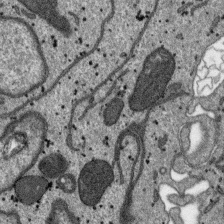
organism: Human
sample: Lung epithelial cells, uninfected (mock) control